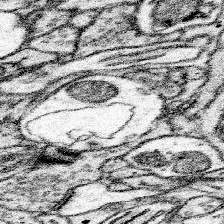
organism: Mouse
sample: Somatosensory cortex neuropil